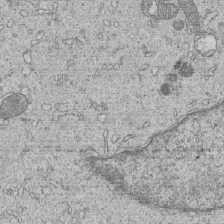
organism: Human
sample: MDA-MB-231 cells